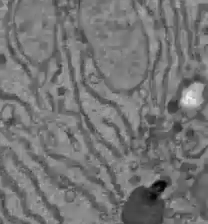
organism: C57BL Mouse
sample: Liver